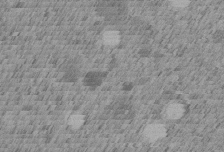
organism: C. elegans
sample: C. elegans embryo early stage